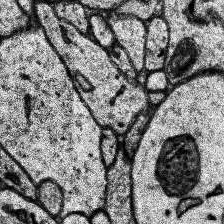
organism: Human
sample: Temporal Lobe